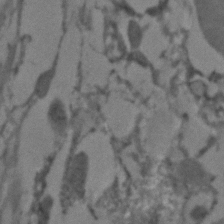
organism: C. elegans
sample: C. elegans embryo